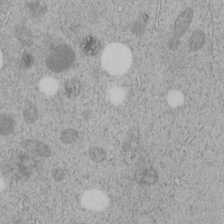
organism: C. elegans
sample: C. elegans embryo early stage